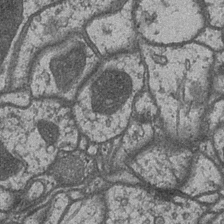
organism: Drosophila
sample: Optic medulla